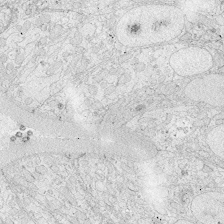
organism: Zebrafish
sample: Whole-Brain